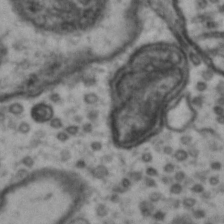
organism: Drosophila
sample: Brain